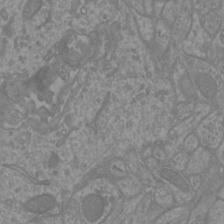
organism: Mouse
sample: Cortical neurons